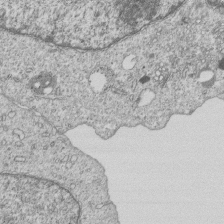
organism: Human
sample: MDA-MB-231 cells